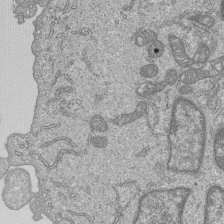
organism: Human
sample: MDA-MB-231 cells